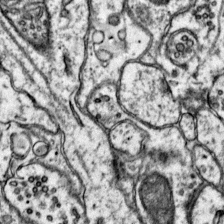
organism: Mouse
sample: Primary visual cortex